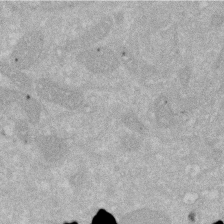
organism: Human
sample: HIV infected U937 cells